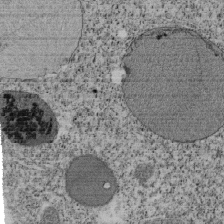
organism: Tetrahymena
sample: Cilia in tetrahymena